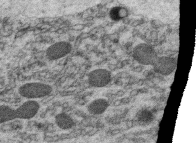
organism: C. elegans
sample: C. elegans oocyte; sperm cells